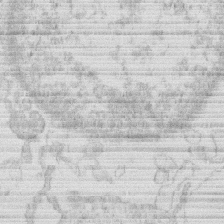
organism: Human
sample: Macrophage cells